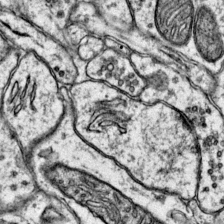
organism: Mouse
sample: Primary visual cortex